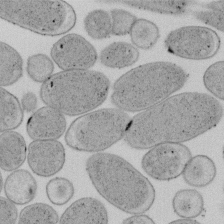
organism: E. coli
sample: Bacterial nucleoid